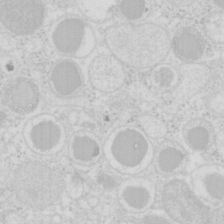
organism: Mouse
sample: Pancreas